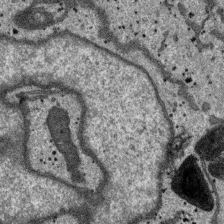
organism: Human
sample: Lung epithelial cells, uninfected (mock) control